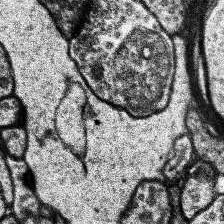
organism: Human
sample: Temporal Lobe